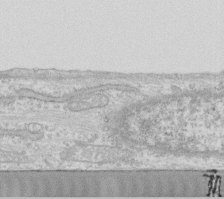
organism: Human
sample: Fibroblast cells